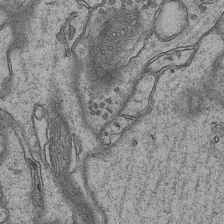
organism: Mouse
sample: CA1 Hippocampus